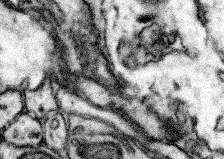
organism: Mouse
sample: Somatosensory cortex neuropil